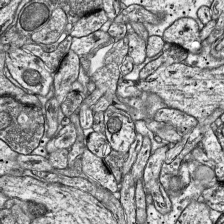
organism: Mouse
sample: Visual Cortex